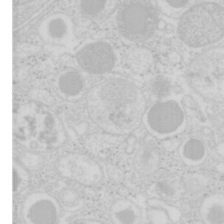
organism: Mouse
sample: Pancreas